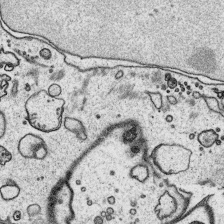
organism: Platynereis dumerilii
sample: Parapodia